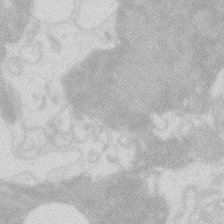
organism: Zebrafish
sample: Macrophage